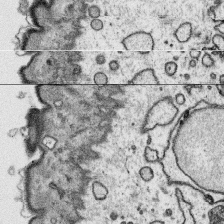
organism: Platynereis dumerilii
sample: Parapodia